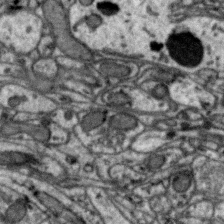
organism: Zebra finch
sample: Brain